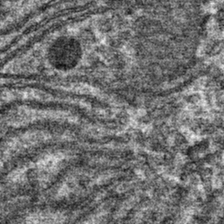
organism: Mouse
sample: Mouse hepatocytes